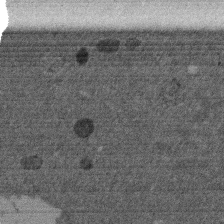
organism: Mouse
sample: Dividing mouse embryo 1 cell stage